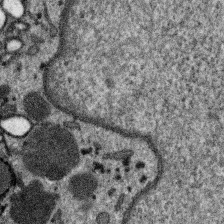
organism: Human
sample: Lung epithelial cells infected with SARS-CoV-2